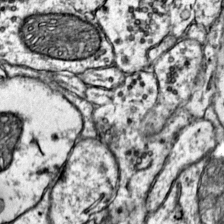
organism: Mouse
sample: Primary visual cortex